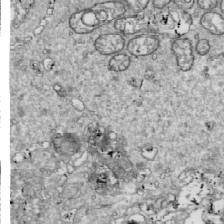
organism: Drosophila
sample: Cell division; meiosis; drosophila spermatocytes